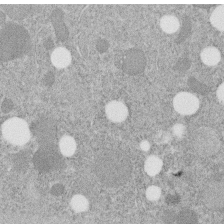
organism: C. elegans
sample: C. elegans embryo early stage